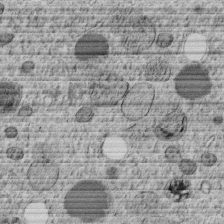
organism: C. elegans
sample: C. elegans embryo early stage